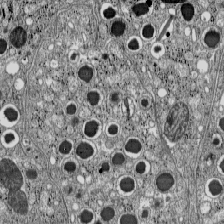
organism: C57BL Mouse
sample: Pancreatic islet